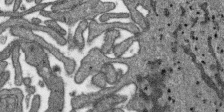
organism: Human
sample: Lung epithelial cells, uninfected (mock) control